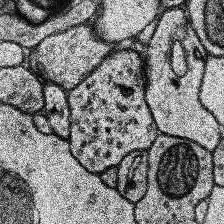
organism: Human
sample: Temporal Lobe